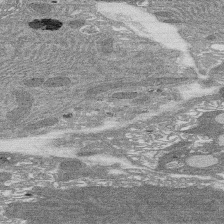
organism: Rat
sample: Salivary granule